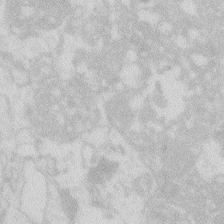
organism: Zebrafish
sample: Macrophage